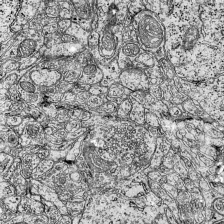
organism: Mouse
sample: Visual Cortex